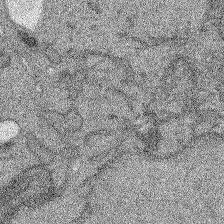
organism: Human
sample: HeLa cells